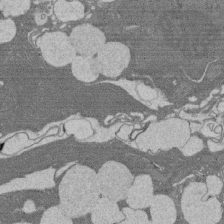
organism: Rat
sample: Salivary granule